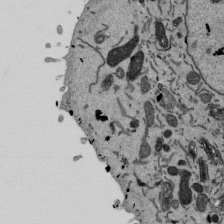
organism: Mouse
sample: ED-1 cell nuclei; centrioles